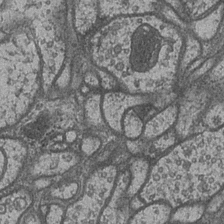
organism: Drosophila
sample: Optic medulla